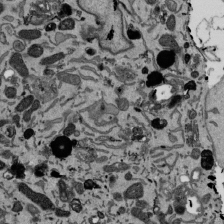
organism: Mouse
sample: ED-1 cell nuclei; centrioles